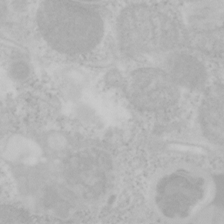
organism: Mouse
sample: OT-I killer T cells with ID8 ovarian cancer cells